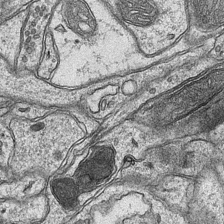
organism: Mouse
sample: CA1 Hippocampus